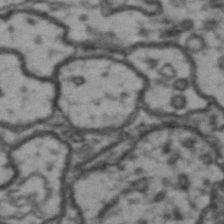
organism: Drosophila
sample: Brain